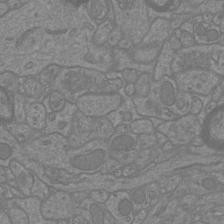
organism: Mouse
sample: Cortical neurons